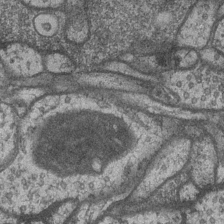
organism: Drosophila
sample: Optic medulla